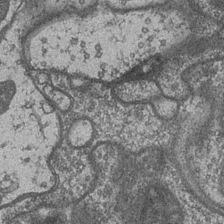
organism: Drosophila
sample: Optic medulla